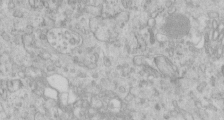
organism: Human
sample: Centriole in RPE cells